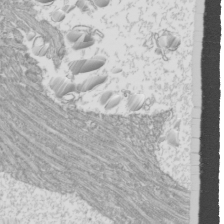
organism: Mouse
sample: Cilia; mouse epididymis